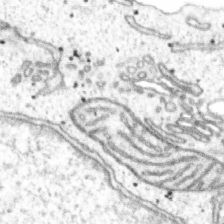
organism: Human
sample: HeLa cells